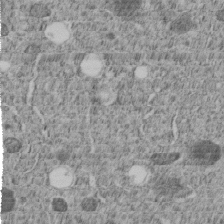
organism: C. elegans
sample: C. elegans embryo early stage